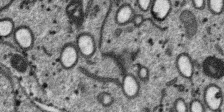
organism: Human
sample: Lung epithelial cells infected with SARS-CoV-2